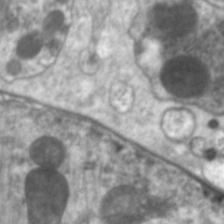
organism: C. elegans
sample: Pharynx